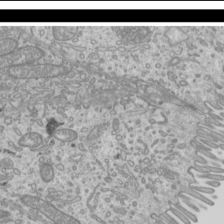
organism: Mouse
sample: Cilia; mouse epididymis